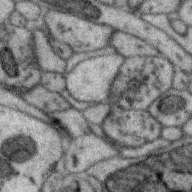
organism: Zebra finch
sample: Brain